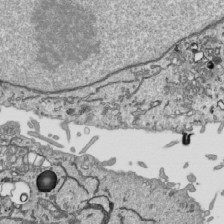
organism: Human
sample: Mitochondria in HCT116 cells